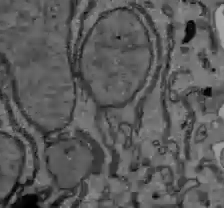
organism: C57BL Mouse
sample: Liver